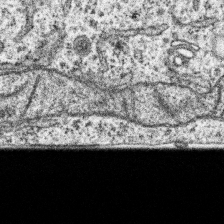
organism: Human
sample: HeLa cells